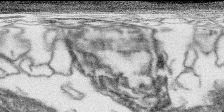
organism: Human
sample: Lung epithelial cells infected with SARS-CoV-2